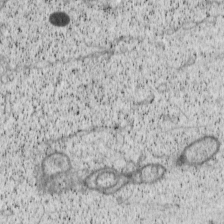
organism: African green monkey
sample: COS-7 cells